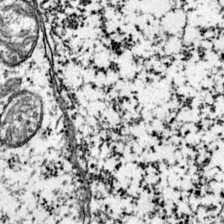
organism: Mouse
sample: Primary visual cortex